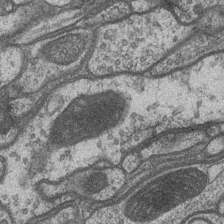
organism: Drosophila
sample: Optic medulla